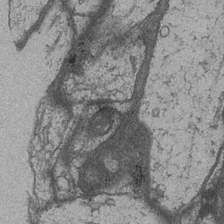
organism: Drosophila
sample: Optic medulla